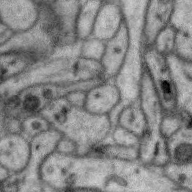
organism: Zebra finch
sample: Brain